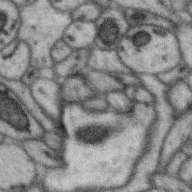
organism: Zebra finch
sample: Brain